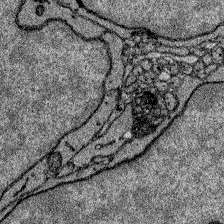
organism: Zebrafish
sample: Larval olfactory bulb